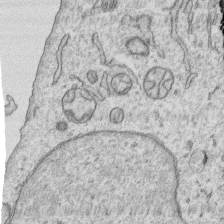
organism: Human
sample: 1205lu cells